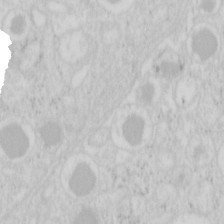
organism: Mouse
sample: Pancreas